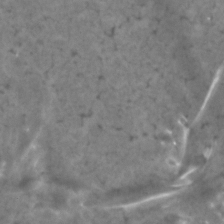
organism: Human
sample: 1205lu cells